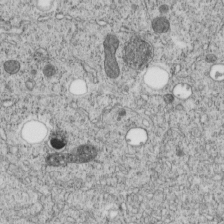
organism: C. elegans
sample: C. elegans embryo early stage